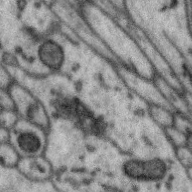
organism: Zebra finch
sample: Brain